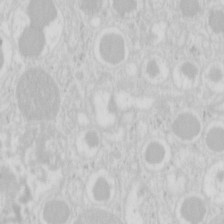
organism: Mouse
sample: Pancreas